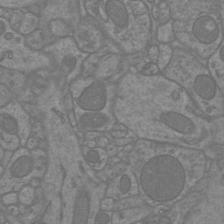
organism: Mouse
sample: Cortical neurons